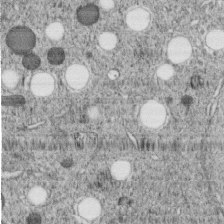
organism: C. elegans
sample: C. elegans embryo early stage